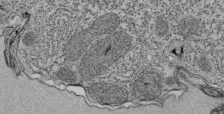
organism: Tetrahymena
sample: Cilia in tetrahymena